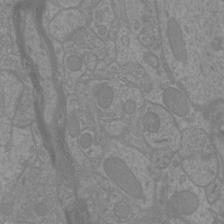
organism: Mouse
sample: Cortical neurons